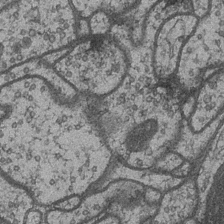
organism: Drosophila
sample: Optic medulla